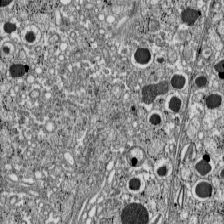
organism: C57BL Mouse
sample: Pancreatic islet